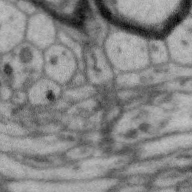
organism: Zebra finch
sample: Brain